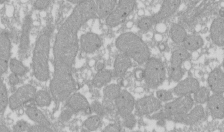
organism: Xenopus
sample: Cilia; centrioles in frog embryo cells